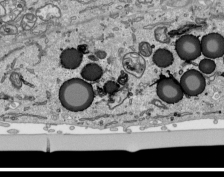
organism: Human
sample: Mitochondria in HCT116 cells